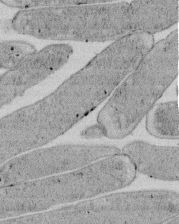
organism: E. coli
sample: Bacterial nucleoid